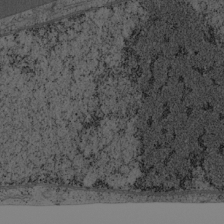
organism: African green monkey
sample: COS-7 cells